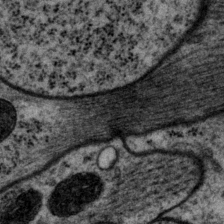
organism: P. pacificus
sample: Pharynx